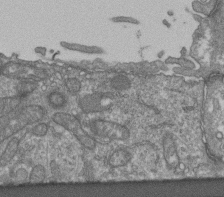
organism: Human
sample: Retinal organoid Rod and Cone cells